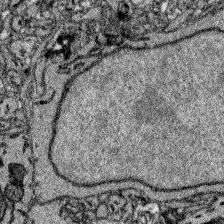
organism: Zebrafish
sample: Larval olfactory bulb